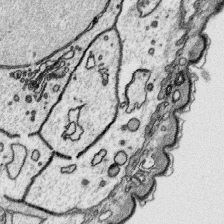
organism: Platynereis dumerilii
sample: Parapodia